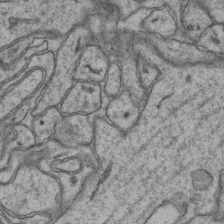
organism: Mouse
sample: CA1 Hippocampus